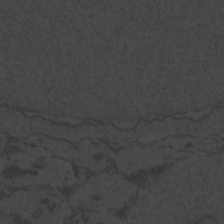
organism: Zebrafish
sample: Macrophage infected with Toxoplasma gondii